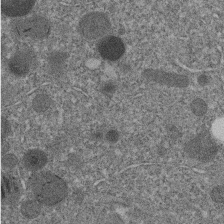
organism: C. elegans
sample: C. elegans embryo early stage